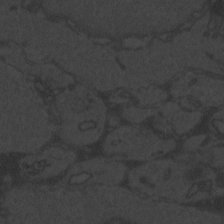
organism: Zebrafish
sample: Macrophage infected with Toxoplasma gondii